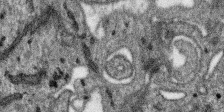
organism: Human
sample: Lung epithelial cells infected with SARS-CoV-2